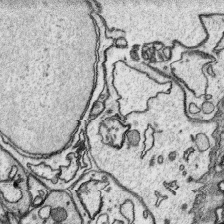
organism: Platynereis dumerilii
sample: Parapodia